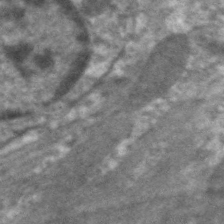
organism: C. elegans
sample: Pharynx